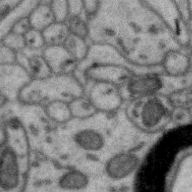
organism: Zebra finch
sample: Brain